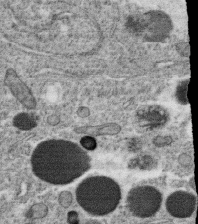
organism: C. elegans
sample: C. elegans oocyte; sperm cells